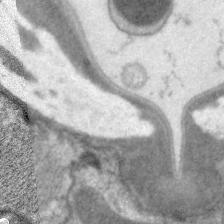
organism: C. elegans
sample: Pharynx